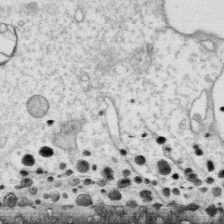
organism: Human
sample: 1205lu cells